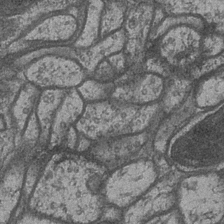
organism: Drosophila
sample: Optic medulla